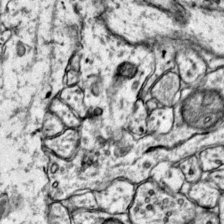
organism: Mouse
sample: Primary visual cortex